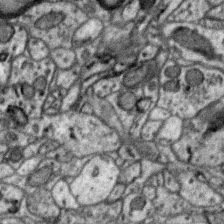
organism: Zebra finch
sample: Brain